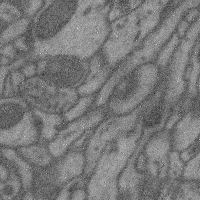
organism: Mouse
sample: Cerebral cortex